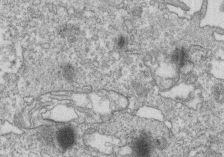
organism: Human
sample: HeLa cell HIV synapse